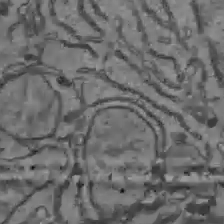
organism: C57BL Mouse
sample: Liver